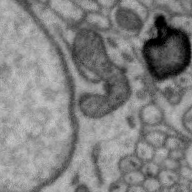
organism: Zebra finch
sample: Brain